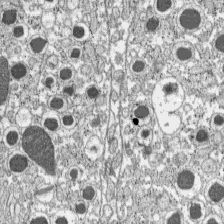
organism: C57BL Mouse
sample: Pancreatic islet